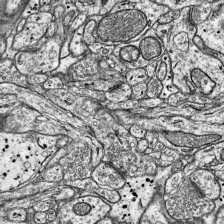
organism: Mouse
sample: Visual Cortex